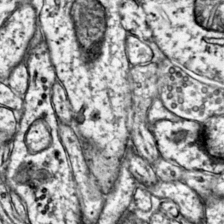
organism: Mouse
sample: Primary visual cortex